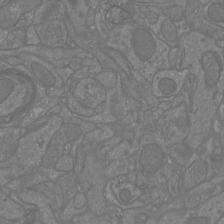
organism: Mouse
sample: Cortical neurons